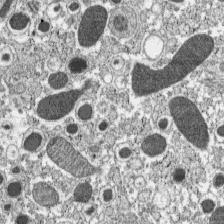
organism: C57BL Mouse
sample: Pancreatic islet